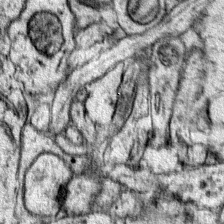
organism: Mouse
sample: Primary visual cortex